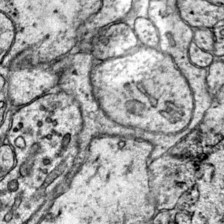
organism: Mouse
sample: Primary visual cortex